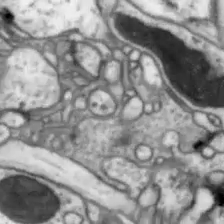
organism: Drosophila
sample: Optic lobe